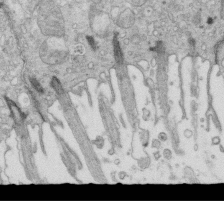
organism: Mouse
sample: Multiciliated cells